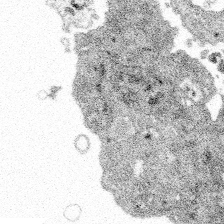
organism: Spongilla lacustris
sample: Multiple